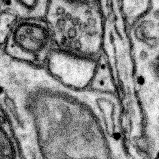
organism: Mouse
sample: Somatosensory cortex neuropil